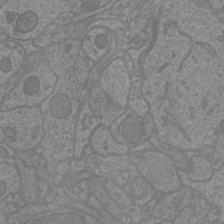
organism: Mouse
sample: Cortical neurons